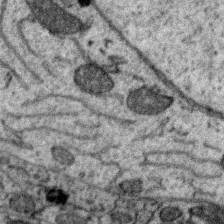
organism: Zebra finch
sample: Brain